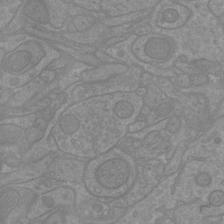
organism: Mouse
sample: Cortical neurons